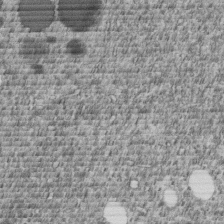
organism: C. elegans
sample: C. elegans embryo early stage